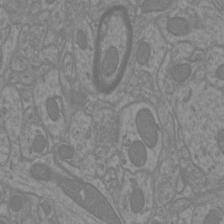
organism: Mouse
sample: Cortical neurons